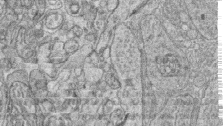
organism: Zebrafish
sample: synaptic ribbons in rod cells and cone cells